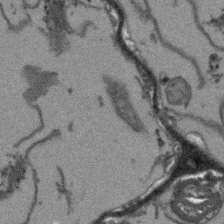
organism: Arabidopsis thaliana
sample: Root tip